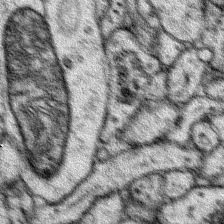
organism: Mouse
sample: Primary visual cortex